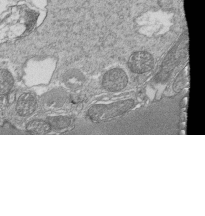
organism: Tetrahymena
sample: Cilia in tetrahymena